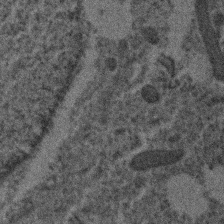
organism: Human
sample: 1205lu cells